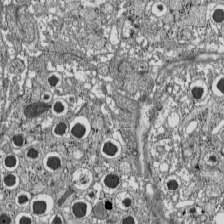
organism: C57BL Mouse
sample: Pancreatic islet